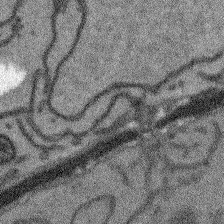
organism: Arabidopsis thaliana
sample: Root tip